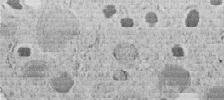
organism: C. elegans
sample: C. elegans embryo early stage